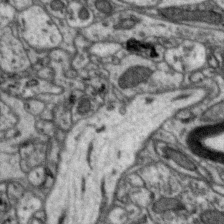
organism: Zebra finch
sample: Brain